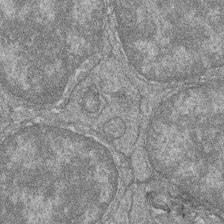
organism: Zebrafish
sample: Cilia; retinal pigment epithelium